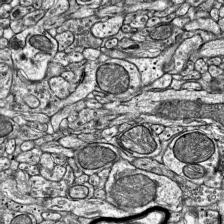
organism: Mouse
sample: Visual Cortex